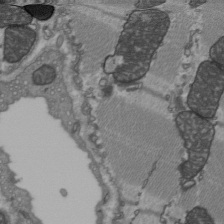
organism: C57BL Mouse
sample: Heart